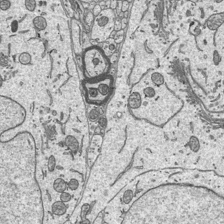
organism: Mouse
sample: Suprachiasmatic nucleus